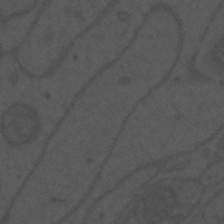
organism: Mouse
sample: Suprachiasmatic nucleus